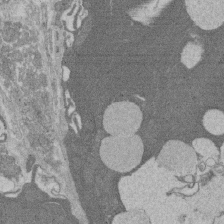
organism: Rat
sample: Salivary granule